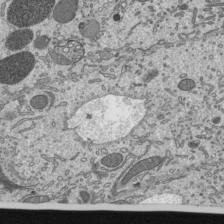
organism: Mouse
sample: Mouse epididymis efferent ductule cilia